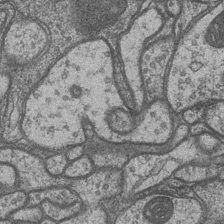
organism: Drosophila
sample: Optic medulla